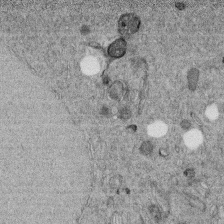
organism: C. elegans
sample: C. elegans embryo early stage